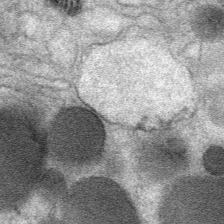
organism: Mouse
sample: Mouse Salivary gland